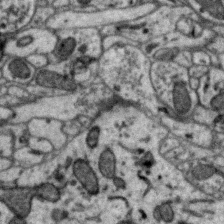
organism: Zebra finch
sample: Brain